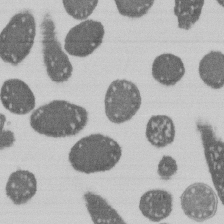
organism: E. coli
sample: Bacterial nucleoid